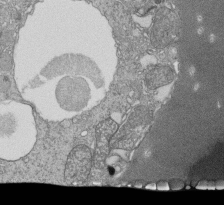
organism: Tetrahymena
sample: Cilia in tetrahymena